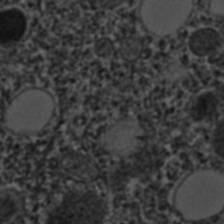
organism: C. elegans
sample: C. elegans embryo